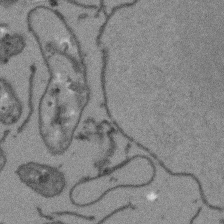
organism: Arabidopsis thaliana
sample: Root tip